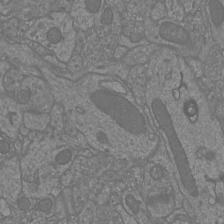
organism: Mouse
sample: Cortical neurons